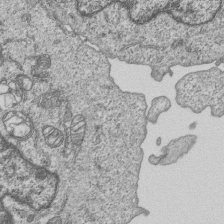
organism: Human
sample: MDA-MB-231 cells